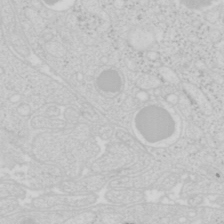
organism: Mouse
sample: Pancreas